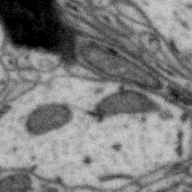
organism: Zebra finch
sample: Brain